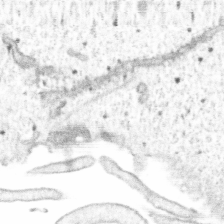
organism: Human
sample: HeLa cells